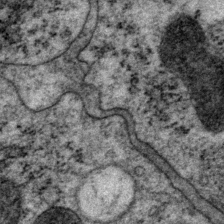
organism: P. pacificus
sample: Pharynx